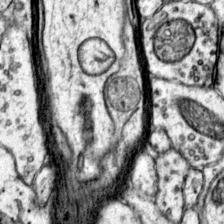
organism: Mouse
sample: Primary visual cortex